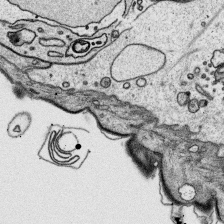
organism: Platynereis dumerilii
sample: Parapodia